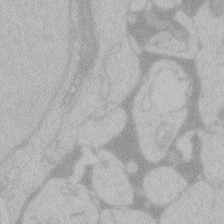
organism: Zebrafish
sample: Macrophage infected with Toxoplasma gondii